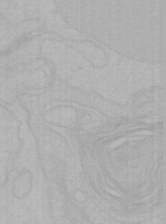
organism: Mouse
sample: Choroid plexus